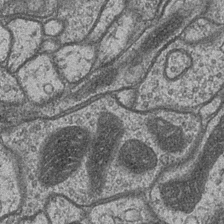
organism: Drosophila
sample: Optic medulla